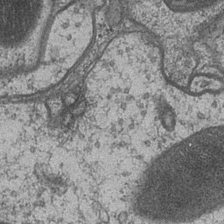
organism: Drosophila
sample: Optic medulla